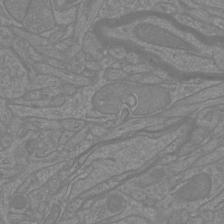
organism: Mouse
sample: Cortical neurons